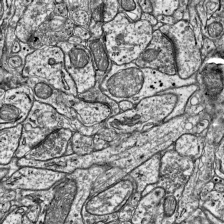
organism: Mouse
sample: Visual Cortex